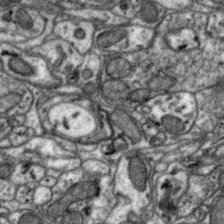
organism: Zebra finch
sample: Brain